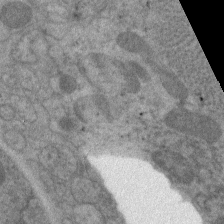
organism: C. elegans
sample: Pharynx